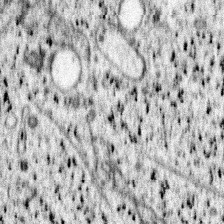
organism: Human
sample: HeLa cells